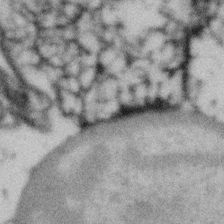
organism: Gemmata obscuriglobus